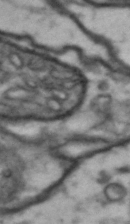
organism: Drosophila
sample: Brain